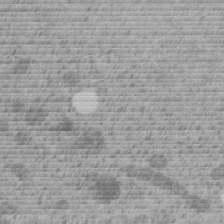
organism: C. elegans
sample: C. elegans embryo early stage